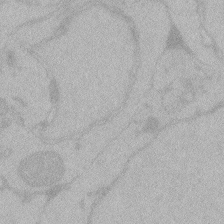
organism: Zebrafish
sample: Macrophage infected with Toxoplasma gondii